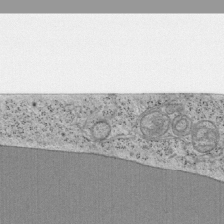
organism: Human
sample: HeLa cells